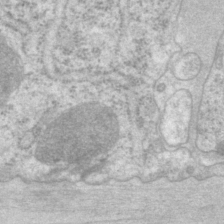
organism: P. pacificus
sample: Pharynx